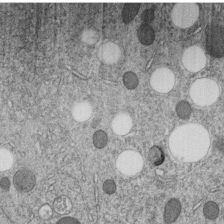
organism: C. elegans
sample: C. elegans embryo early stage